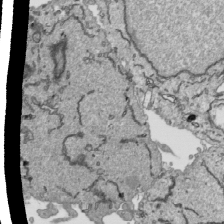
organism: Human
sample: Mitochondria in HCT116 cells